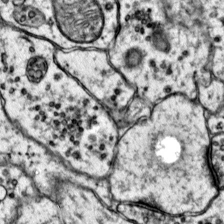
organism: Mouse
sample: Primary visual cortex